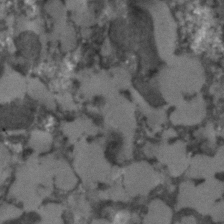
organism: C. elegans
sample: C. elegans embryo